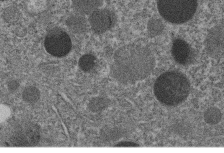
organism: C. elegans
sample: C. elegans embryo early stage